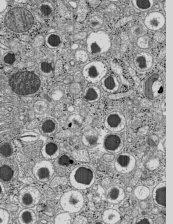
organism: C57BL Mouse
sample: Pancreatic islet